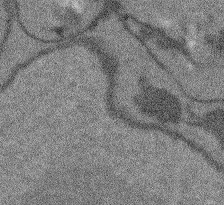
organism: Arabidopsis thaliana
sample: Root tip